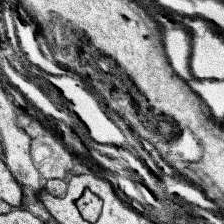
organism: Human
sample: Temporal Lobe